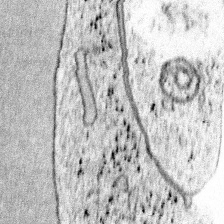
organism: Human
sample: HeLa cells